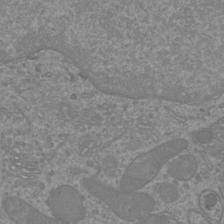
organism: Mouse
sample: Cortical neurons